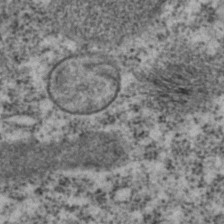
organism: C. elegans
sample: C. elegans embryo